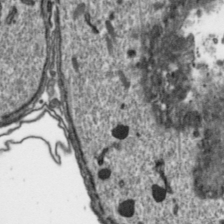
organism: Toxoplasma gondii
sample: Parasites in a vacuole inside a host cell